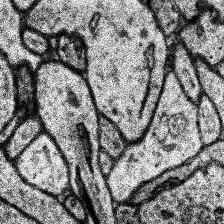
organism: Human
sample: Temporal Lobe